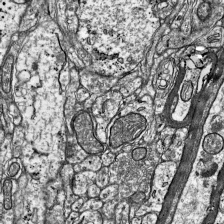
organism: Mouse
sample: Visual Cortex